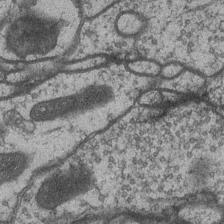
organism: Drosophila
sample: Optic medulla